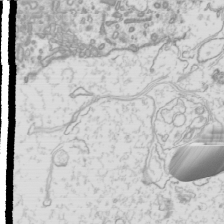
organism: Mouse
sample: Cilia; mouse epididymis